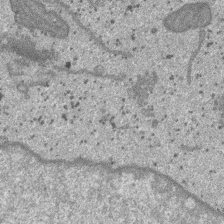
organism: Human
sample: Lung epithelial cells infected with SARS-CoV-2